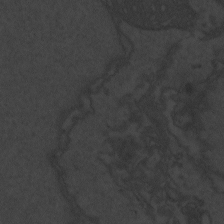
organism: Zebrafish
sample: Macrophage infected with Toxoplasma gondii